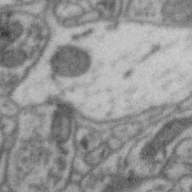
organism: Zebra finch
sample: Brain